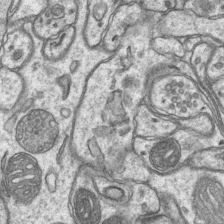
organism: Mouse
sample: CA1 Hippocampus